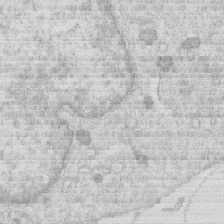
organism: Human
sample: Macrophage cells